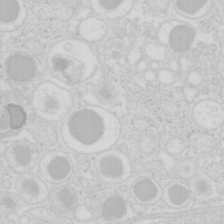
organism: Mouse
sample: Pancreas